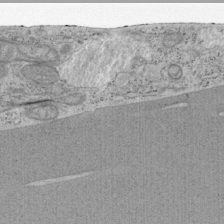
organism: Human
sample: HeLa cells